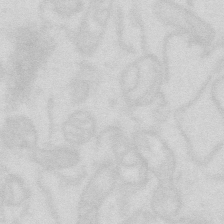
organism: Human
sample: HeLa cells